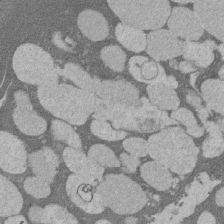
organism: Rat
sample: Salivary granule